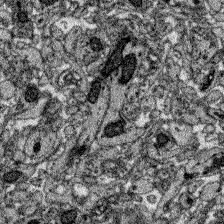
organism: Zebrafish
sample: Larval olfactory bulb